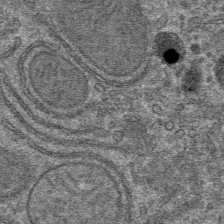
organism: Mouse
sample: Mouse hepatocytes